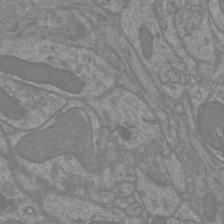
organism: Mouse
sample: Cortical neurons